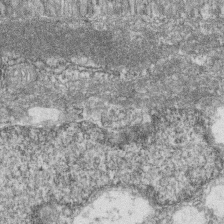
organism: Zebrafish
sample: Cilia; retinal pigment epithelium